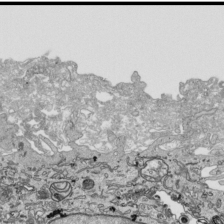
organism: Human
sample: Mitochondria in HCT116 cells